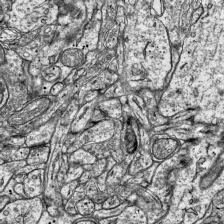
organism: Mouse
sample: Visual Cortex